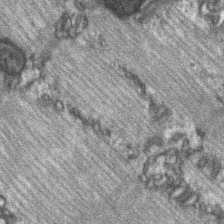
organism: C57BL Mouse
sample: Soleus